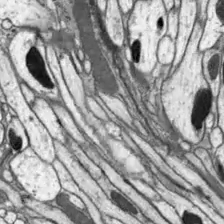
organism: Drosophila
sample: Optic lobe